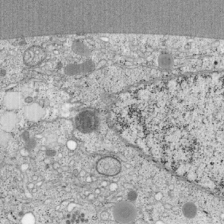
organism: African green monkey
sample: COS-7 cells